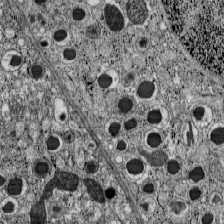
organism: C57BL Mouse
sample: Pancreatic islet